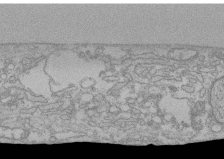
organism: Human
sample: CRL-1474